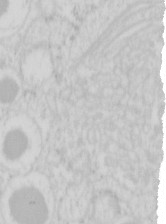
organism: Mouse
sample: Pancreas